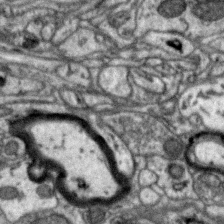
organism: Zebra finch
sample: Brain